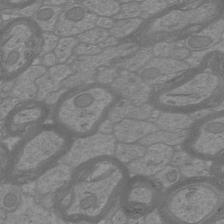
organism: Mouse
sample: Cortical neurons